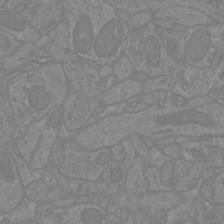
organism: Mouse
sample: Cortical neurons